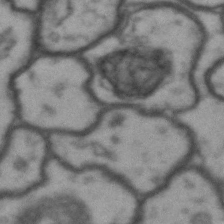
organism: Drosophila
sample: Brain